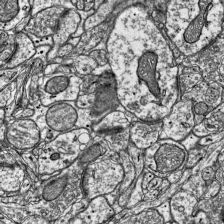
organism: Mouse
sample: Visual Cortex